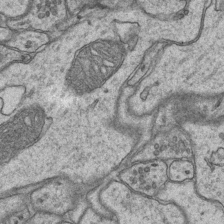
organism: Mouse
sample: CA1 Hippocampus